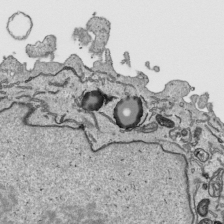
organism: Human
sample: Mitochondria in HCT116 cells